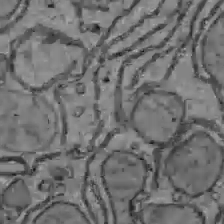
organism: C57BL Mouse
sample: Liver